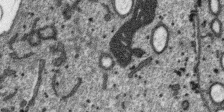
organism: Human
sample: Lung epithelial cells infected with SARS-CoV-2